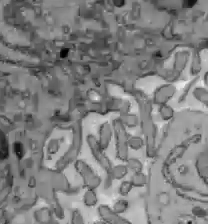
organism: C57BL Mouse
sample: Liver